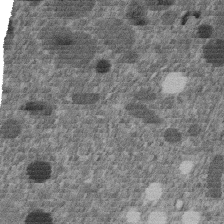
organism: C. elegans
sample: C. elegans embryo early stage